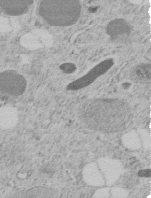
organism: C. elegans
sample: C. elegans embryo early stage